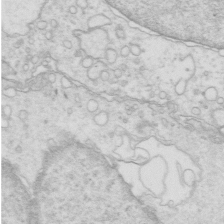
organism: Mouse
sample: Multiciliated cells